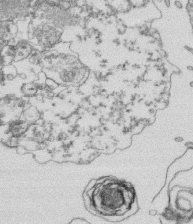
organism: Human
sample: HeLa cell HIV synapse